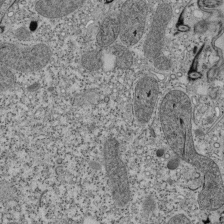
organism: Tetrahymena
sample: Cilia in tetrahymena